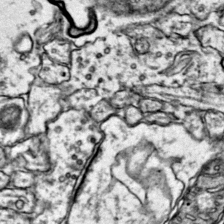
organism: Mouse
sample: Primary visual cortex